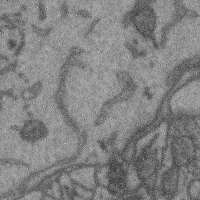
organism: Mouse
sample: Cerebral cortex